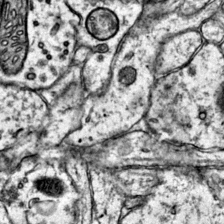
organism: Mouse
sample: Primary visual cortex